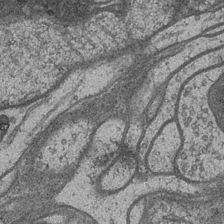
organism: Drosophila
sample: Optic medulla